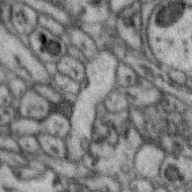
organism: Zebra finch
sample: Brain